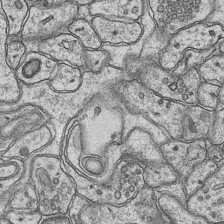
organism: Mouse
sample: CA1 Hippocampus